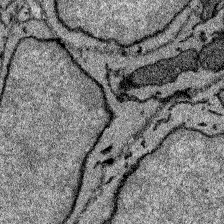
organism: Zebrafish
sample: Larval olfactory bulb